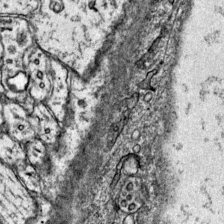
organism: Mouse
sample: Primary visual cortex